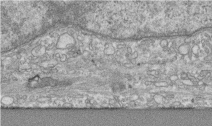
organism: Human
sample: Centriole in RPE cells